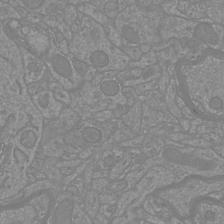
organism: Mouse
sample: Cortical neurons